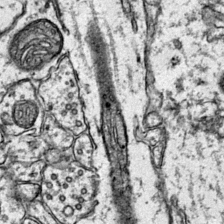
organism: Mouse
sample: Primary visual cortex